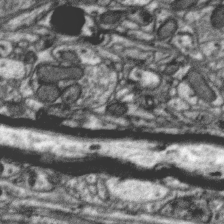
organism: Zebra finch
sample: Brain